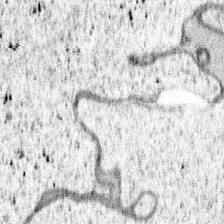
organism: Human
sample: HeLa cells